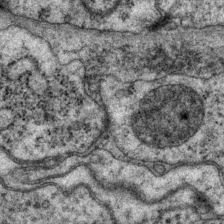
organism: P. pacificus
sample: Pharynx